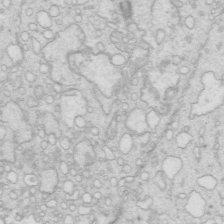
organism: Mouse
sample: Multiciliated cells